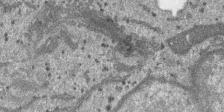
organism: Human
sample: Lung epithelial cells infected with SARS-CoV-2